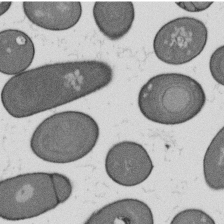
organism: B. subtilis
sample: Bacterial spore